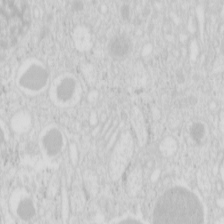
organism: Mouse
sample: Pancreas